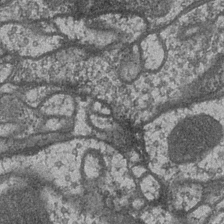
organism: Drosophila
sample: Optic medulla